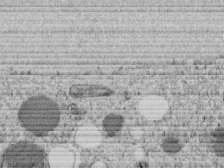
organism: C. elegans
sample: C. elegans embryo early stage